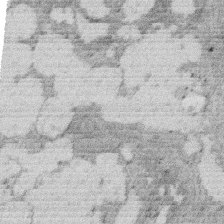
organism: Rat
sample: Salivary granule